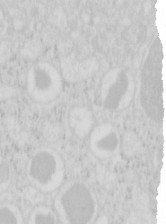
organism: Mouse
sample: Pancreas